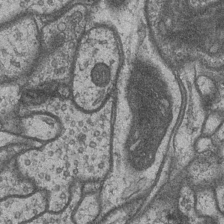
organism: Drosophila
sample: Optic medulla